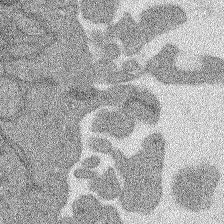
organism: Human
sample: HeLa cells